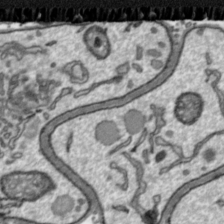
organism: Toxoplasma gondii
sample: Parasites in a vacuole inside a host cell